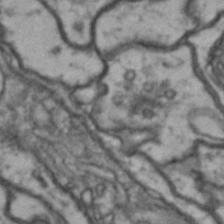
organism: Drosophila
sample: Brain